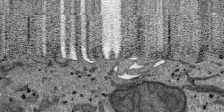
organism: Human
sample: Lung epithelial cells, uninfected (mock) control